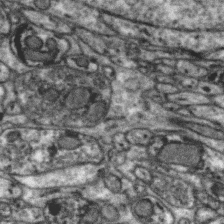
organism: Zebra finch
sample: Brain